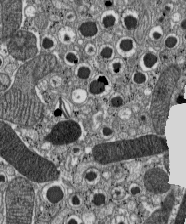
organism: C57BL Mouse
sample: Pancreatic islet